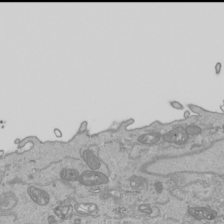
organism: Human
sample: Mitochondria in HCT116 cells